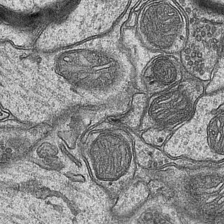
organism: Mouse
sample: CA1 Hippocampus